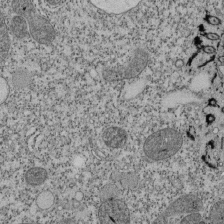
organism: Tetrahymena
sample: Cilia in tetrahymena